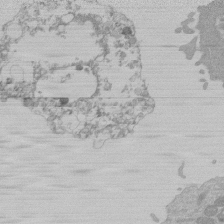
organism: Mouse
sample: Activated Pmel transgenic CD8+ T Cells